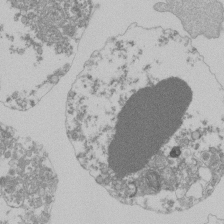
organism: Mouse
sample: Activated Pmel transgenic CD8+ T Cells